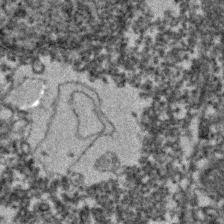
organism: Zebrafish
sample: Zebrafish embryo